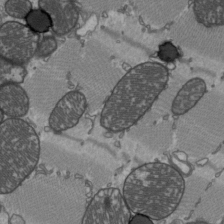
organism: C57BL Mouse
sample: Heart